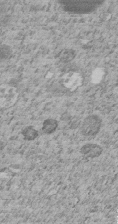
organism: C. elegans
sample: C. elegans embryo early stage